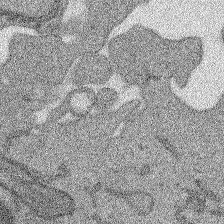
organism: Human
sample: HeLa cells